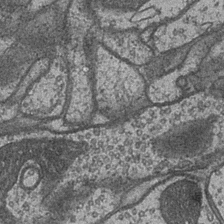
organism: Drosophila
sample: Optic medulla